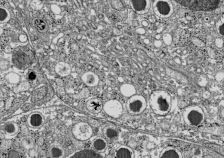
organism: C57BL Mouse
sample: Pancreatic islet